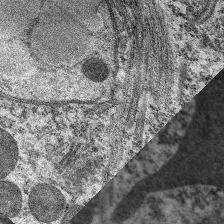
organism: C. elegans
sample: Pharynx